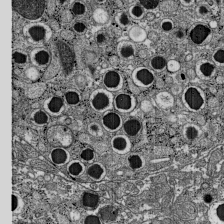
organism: C57BL Mouse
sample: Pancreatic islet